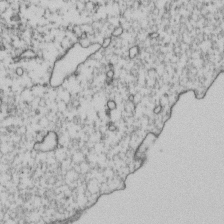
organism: Human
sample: Activated Jurkat CD4+ T cells